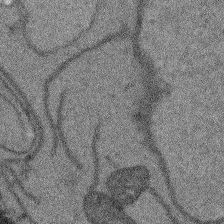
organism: Arabidopsis thaliana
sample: Root tip